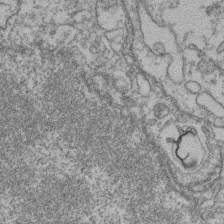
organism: Mouse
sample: T cell stromal cell synapse